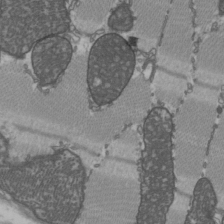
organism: C57BL Mouse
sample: Heart